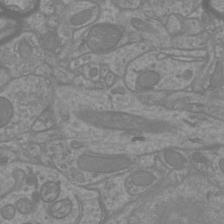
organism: Mouse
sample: Cortical neurons